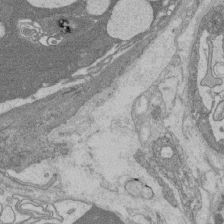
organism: Rat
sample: Salivary granule